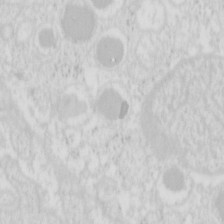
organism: Mouse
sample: Pancreas